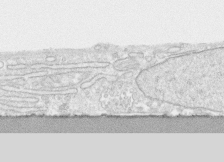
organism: Human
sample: CRL-1474